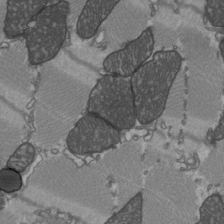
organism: C57BL Mouse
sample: Heart